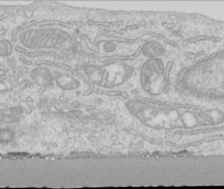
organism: Human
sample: Centriole in RPE cells